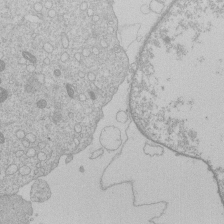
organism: Human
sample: Macrophage cells